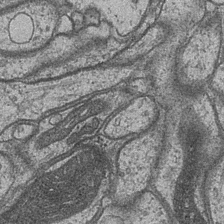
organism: Drosophila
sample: Optic medulla